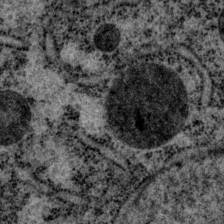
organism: P. pacificus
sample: Pharynx